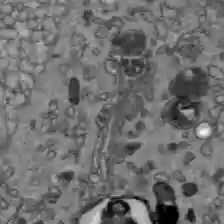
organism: C57BL Mouse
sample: Liver